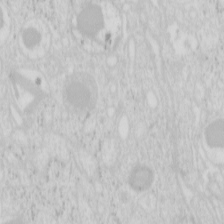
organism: Mouse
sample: Pancreas